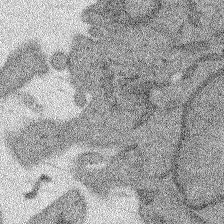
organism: Human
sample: HeLa cells